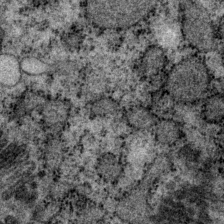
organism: P. pacificus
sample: Pharynx